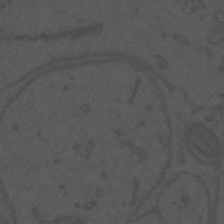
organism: Mouse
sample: Suprachiasmatic nucleus